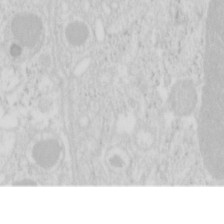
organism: Mouse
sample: Pancreas